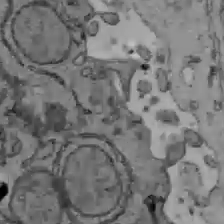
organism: C57BL Mouse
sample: Liver